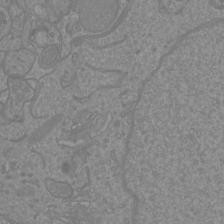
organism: Mouse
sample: Cortical neurons